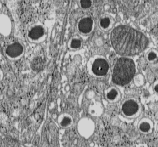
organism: C57BL Mouse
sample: Pancreatic islet